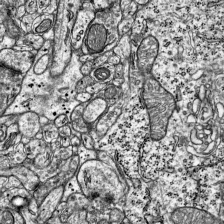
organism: Mouse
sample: Visual Cortex